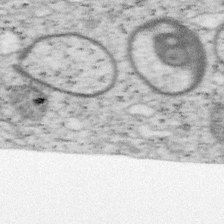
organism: Mouse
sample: OT-I killer T cells with ID8 ovarian cancer cells